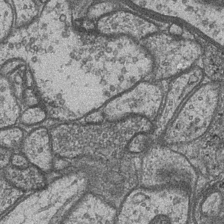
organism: Drosophila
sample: Optic medulla